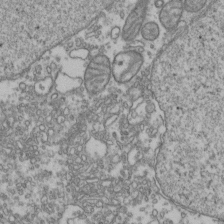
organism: Human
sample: Activated Jurkat CD4+ T cells